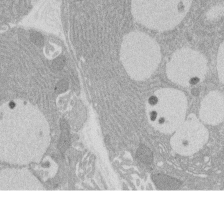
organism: Rat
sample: Salivary granule